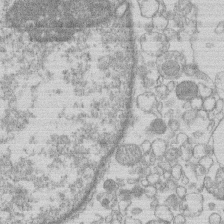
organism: Human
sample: Macrophage cells